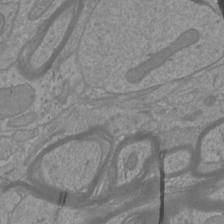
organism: Mouse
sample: Cortical neurons